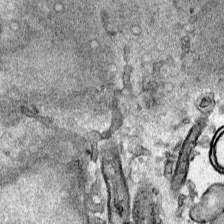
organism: Human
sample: Mitochondria in HCT116 cells